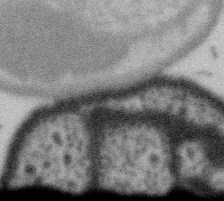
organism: Gemmata obscuriglobus